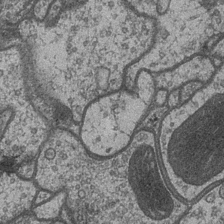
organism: Drosophila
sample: Optic medulla